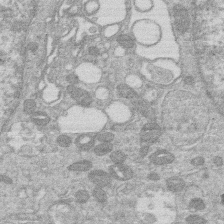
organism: Human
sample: Macrophage cells